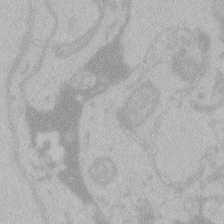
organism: Zebrafish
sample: Macrophage infected with Toxoplasma gondii